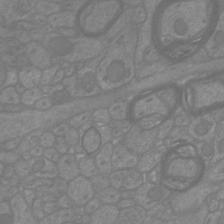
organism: Mouse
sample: Cortical neurons